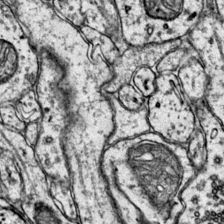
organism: Mouse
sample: Primary visual cortex